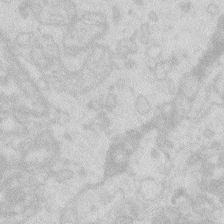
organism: Zebrafish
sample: Macrophage